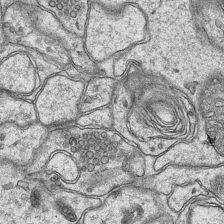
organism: Mouse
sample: CA1 Hippocampus